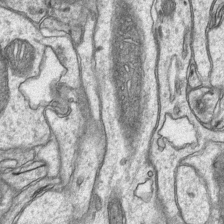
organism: Mouse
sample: CA1 Hippocampus